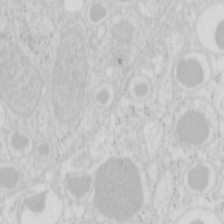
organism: Mouse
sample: Pancreas